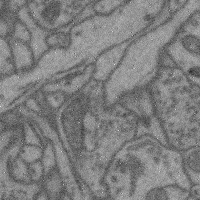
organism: Mouse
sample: Cerebral cortex